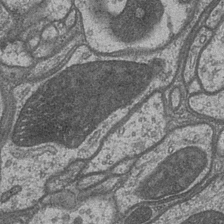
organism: Drosophila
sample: Optic medulla